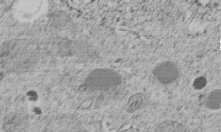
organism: C. elegans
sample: C. elegans embryo early stage